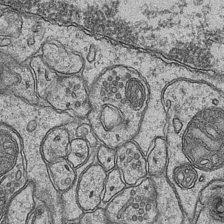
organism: Mouse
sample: CA1 Hippocampus